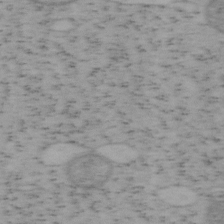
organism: Mouse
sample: OT-I killer T cells with ID8 ovarian cancer cells